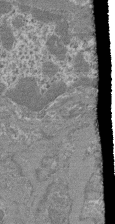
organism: Mouse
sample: Glomerulus